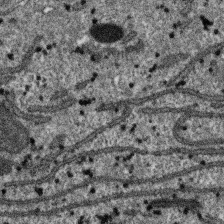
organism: Human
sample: Lung epithelial cells infected with SARS-CoV-2